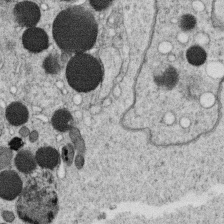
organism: C. elegans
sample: C. elegans oocyte; sperm cells